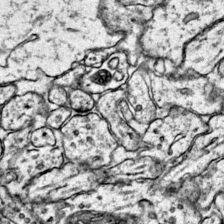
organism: Mouse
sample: Primary visual cortex